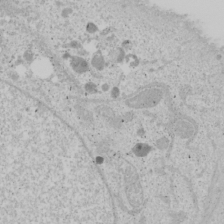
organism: Human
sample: Mitochondria in U2OS cells